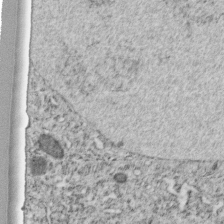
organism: C. elegans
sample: C. elegans embryo early stage